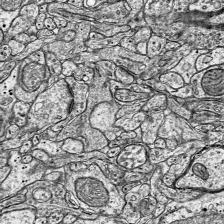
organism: Mouse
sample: Visual Cortex